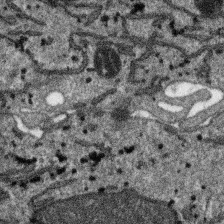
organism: Human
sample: Lung epithelial cells infected with SARS-CoV-2